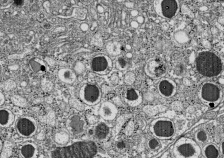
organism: C57BL Mouse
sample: Pancreatic islet